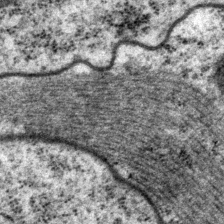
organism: P. pacificus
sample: Pharynx